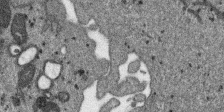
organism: Human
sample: Lung epithelial cells infected with SARS-CoV-2